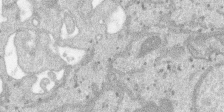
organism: Human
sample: Lung epithelial cells infected with SARS-CoV-2